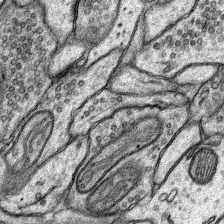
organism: Rat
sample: Hippocampus